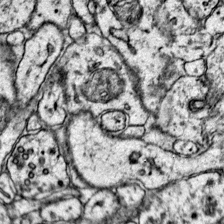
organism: Mouse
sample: Primary visual cortex